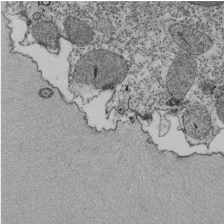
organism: Tetrahymena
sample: Cilia in tetrahymena